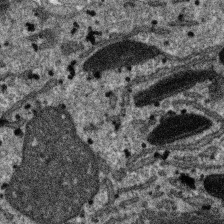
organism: Human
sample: Lung epithelial cells infected with SARS-CoV-2